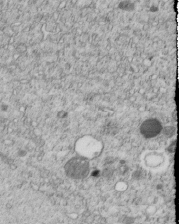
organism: C. elegans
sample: C. elegans embryo early stage